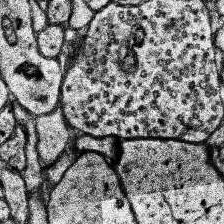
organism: Human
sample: Temporal Lobe